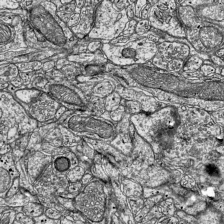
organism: Mouse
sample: Visual Cortex